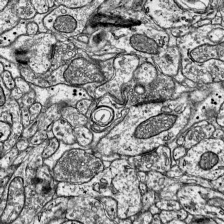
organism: Mouse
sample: Visual Cortex